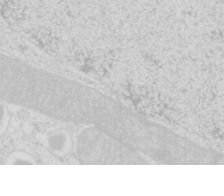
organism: Mouse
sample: Pancreas